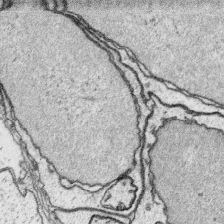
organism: Platynereis dumerilii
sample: Parapodia